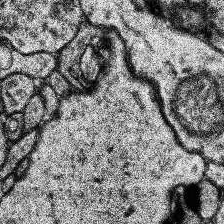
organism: Human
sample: Temporal Lobe